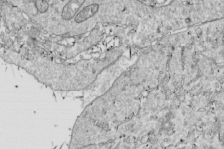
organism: Drosophila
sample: Cell division; meiosis; drosophila spermatocytes